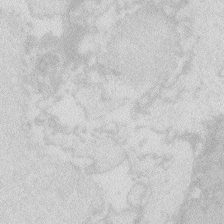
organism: Zebrafish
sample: Macrophage